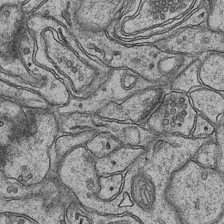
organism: Mouse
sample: CA1 Hippocampus